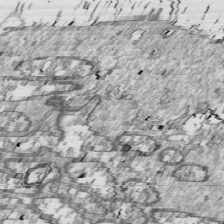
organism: Drosophila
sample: Cell division; meiosis; drosophila spermatocytes